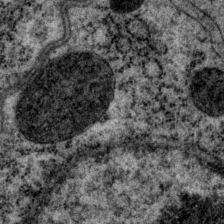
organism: P. pacificus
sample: Pharynx